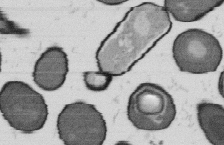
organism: B. subtilis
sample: Bacterial spore